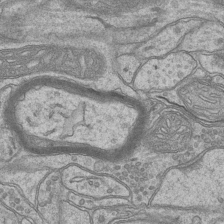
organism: Mouse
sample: CA1 Hippocampus